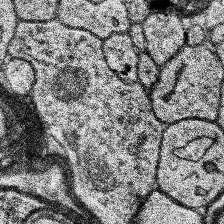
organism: Human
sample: Temporal Lobe